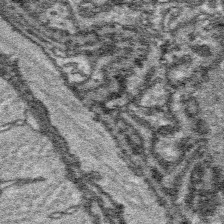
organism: Platynereis dumerilii